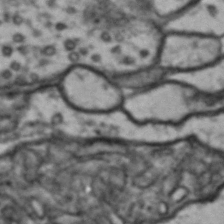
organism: Drosophila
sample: Brain